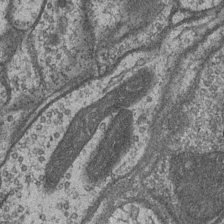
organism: Drosophila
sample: Optic medulla